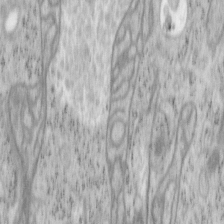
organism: Human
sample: HeLa cells